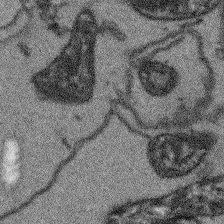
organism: Arabidopsis thaliana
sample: Root tip